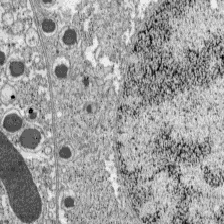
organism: C57BL Mouse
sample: Pancreatic islet